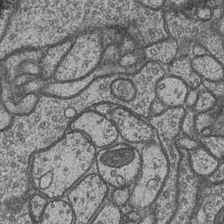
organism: Drosophila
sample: Optic medulla